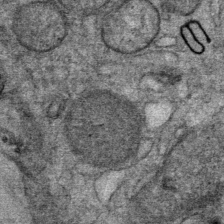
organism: Mouse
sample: Mouse Salivary gland